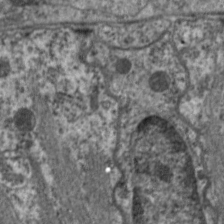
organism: C. elegans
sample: Pharynx